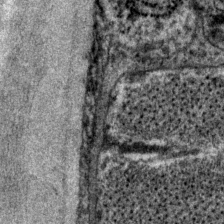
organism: P. pacificus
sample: Pharynx